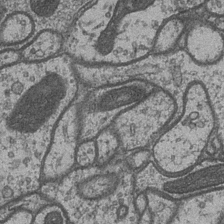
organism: Drosophila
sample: Optic medulla